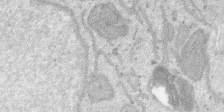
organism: Human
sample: Lung epithelial cells infected with SARS-CoV-2